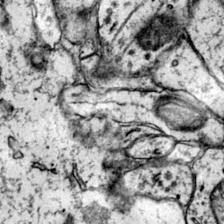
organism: Mouse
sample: Primary visual cortex